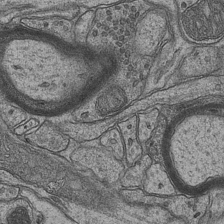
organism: Mouse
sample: CA1 Hippocampus